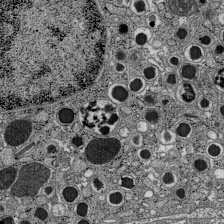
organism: C57BL Mouse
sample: Pancreatic islet